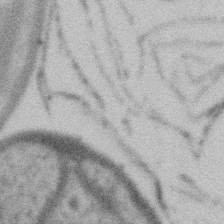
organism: Gemmata obscuriglobus